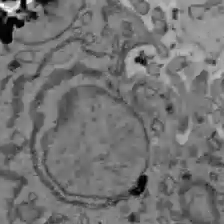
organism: C57BL Mouse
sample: Liver